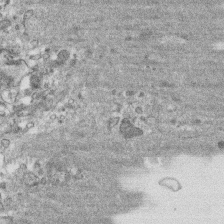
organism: Human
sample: CRL-1474